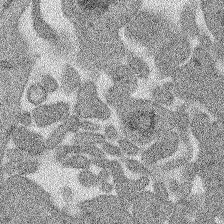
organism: Human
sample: HeLa cells